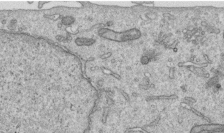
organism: Human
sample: Centriole in RPE cells